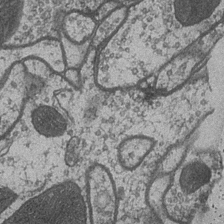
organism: Drosophila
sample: Optic medulla